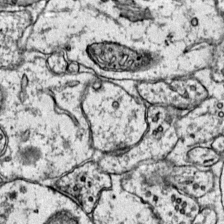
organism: Mouse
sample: Primary visual cortex